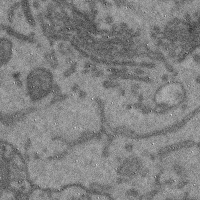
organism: Mouse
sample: Cerebral cortex